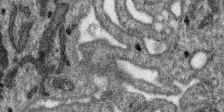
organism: Human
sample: Lung epithelial cells infected with SARS-CoV-2